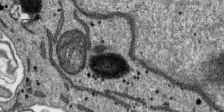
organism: Human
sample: Lung epithelial cells, uninfected (mock) control